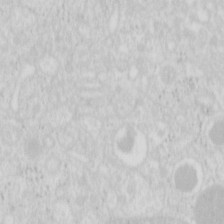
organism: Mouse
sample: Pancreas